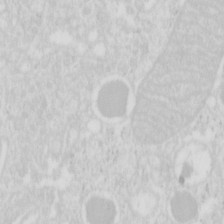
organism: Mouse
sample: Pancreas